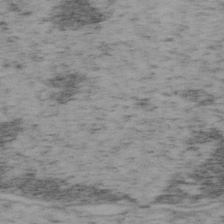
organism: Mouse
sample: OT-I killer T cells with ID8 ovarian cancer cells